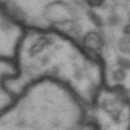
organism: Drosophila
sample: Brain